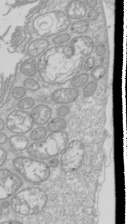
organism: Drosophila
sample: Cell division; meiosis; drosophila spermatocytes